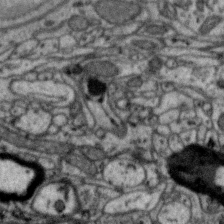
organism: Zebra finch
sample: Brain